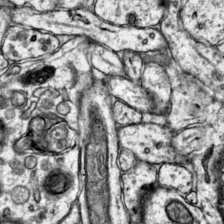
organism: Mouse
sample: Primary visual cortex